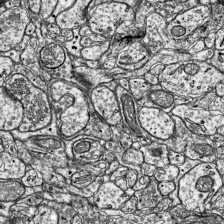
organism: Mouse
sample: Visual Cortex